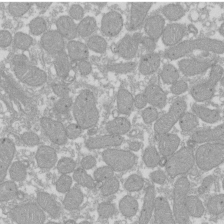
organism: Xenopus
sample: Cilia; centrioles in frog embryo cells